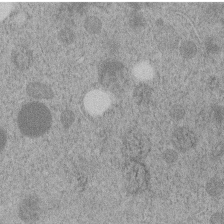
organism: C. elegans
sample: C. elegans embryo early stage